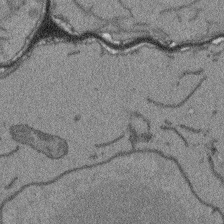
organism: Arabidopsis thaliana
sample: Root tip